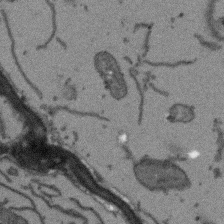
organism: Arabidopsis thaliana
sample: Root tip